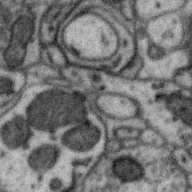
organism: Zebra finch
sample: Brain